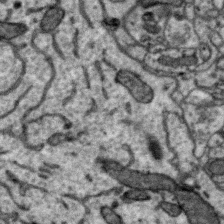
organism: Zebra finch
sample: Brain